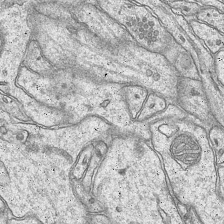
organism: Mouse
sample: CA1 Hippocampus